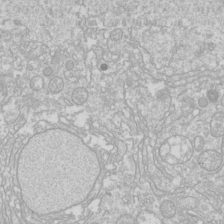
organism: Drosophila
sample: Cell division; meiosis; drosophila spermatocytes